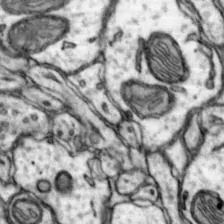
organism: Mouse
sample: Nucleus accumbens